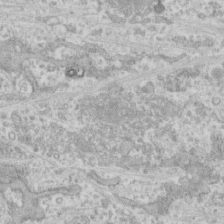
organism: Human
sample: CRL-1474